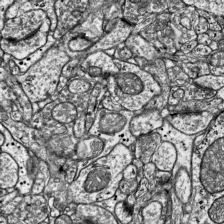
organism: Mouse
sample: Visual Cortex